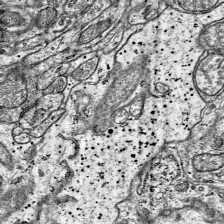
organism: Mouse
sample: Visual Cortex